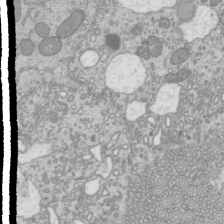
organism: Mouse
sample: Cilia; mouse epididymis